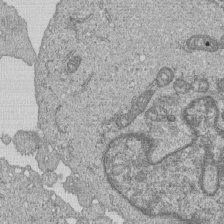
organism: Human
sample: MDA-MB-231 cells